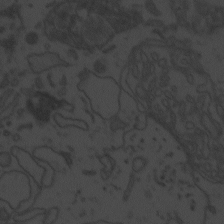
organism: Zebrafish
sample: Macrophage infected with Toxoplasma gondii